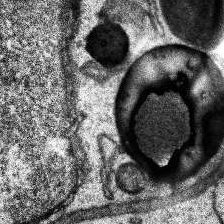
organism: Human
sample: Temporal Lobe